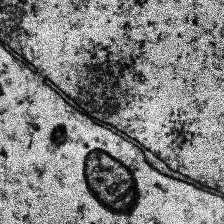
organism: Human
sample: Temporal Lobe